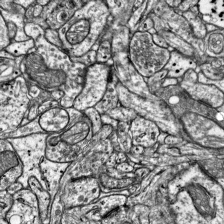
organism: Mouse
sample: Visual Cortex